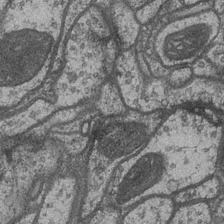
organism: Drosophila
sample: Optic medulla